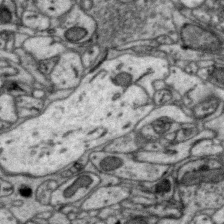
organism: Zebra finch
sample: Brain